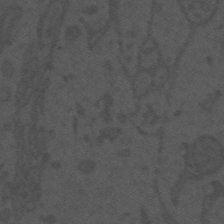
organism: Mouse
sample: Suprachiasmatic nucleus